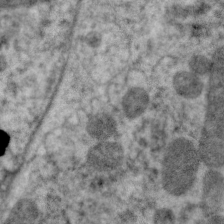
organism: C. elegans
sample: Pharynx